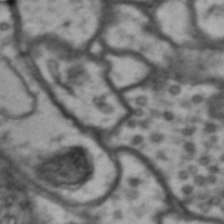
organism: Drosophila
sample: Brain